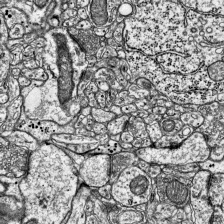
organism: Mouse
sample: Visual Cortex